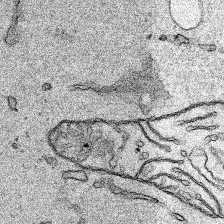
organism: Human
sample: Mitochondria in HCT116 cells